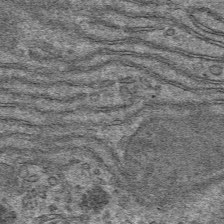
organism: Mouse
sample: Mouse hepatocytes